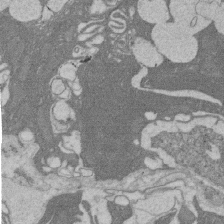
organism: Rat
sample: Salivary granule